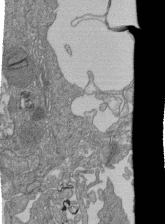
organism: Human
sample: Retinal organoid Rod and Cone cells